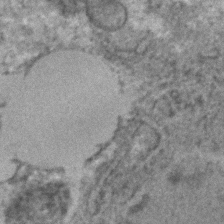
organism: C. elegans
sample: C. elegans embryo